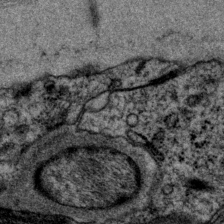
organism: P. pacificus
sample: Pharynx